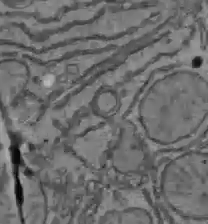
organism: C57BL Mouse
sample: Liver